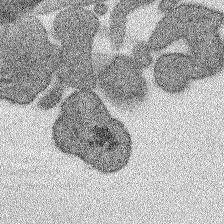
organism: Human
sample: HeLa cells